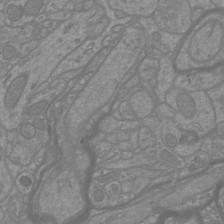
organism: Mouse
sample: Cortical neurons